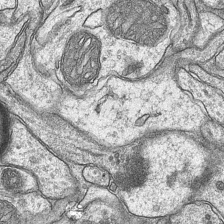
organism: Mouse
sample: CA1 Hippocampus